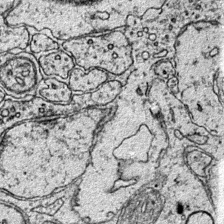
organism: Mouse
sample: Primary visual cortex